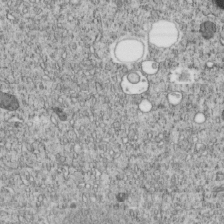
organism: C. elegans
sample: C. elegans embryo early stage